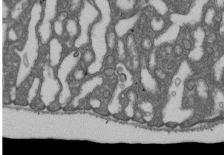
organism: Drosophila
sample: Nephrocyte